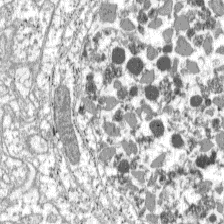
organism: C57BL Mouse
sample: Pancreatic islet